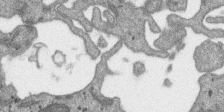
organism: Human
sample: Lung epithelial cells infected with SARS-CoV-2